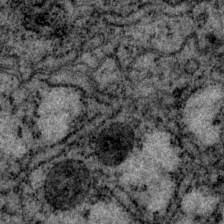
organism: P. pacificus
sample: Pharynx